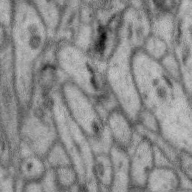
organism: Zebra finch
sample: Brain